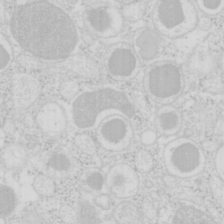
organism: Mouse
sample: Pancreas